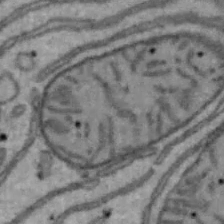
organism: Mouse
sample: Liver